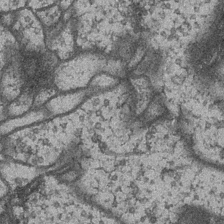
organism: Drosophila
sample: Optic medulla